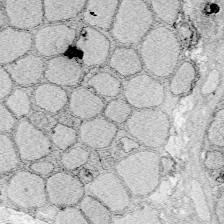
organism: Zebrafish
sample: Whole-Brain